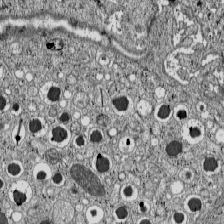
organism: C57BL Mouse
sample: Pancreatic islet